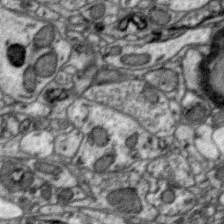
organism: Zebra finch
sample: Brain